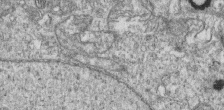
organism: Human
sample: HeLa cell HIV synapse